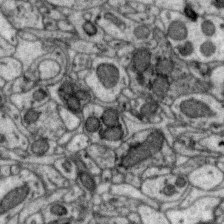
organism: Zebra finch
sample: Brain